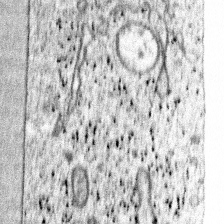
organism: Human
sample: HeLa cells